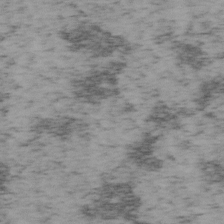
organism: Mouse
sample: OT-I killer T cells with ID8 ovarian cancer cells